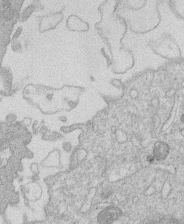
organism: Human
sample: Macrophage cells